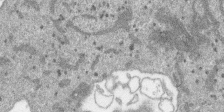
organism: Human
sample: Lung epithelial cells infected with SARS-CoV-2